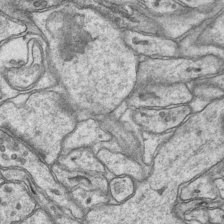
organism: Mouse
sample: CA1 Hippocampus